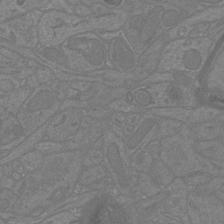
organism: Mouse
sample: Cortical neurons